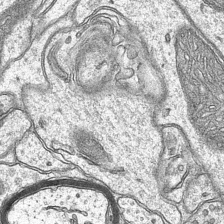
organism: Mouse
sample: CA1 Hippocampus